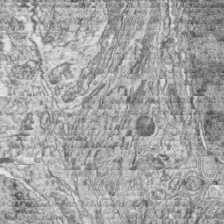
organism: Zebrafish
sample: synaptic ribbons in rod cells and cone cells